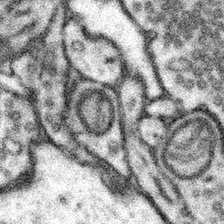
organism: Mouse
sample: Somatosensory cortex neuropil